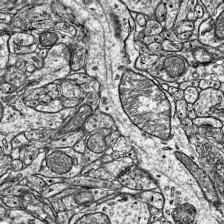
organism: Mouse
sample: Visual Cortex